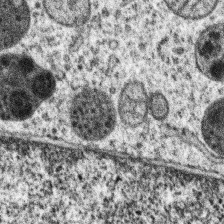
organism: Human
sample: HeLa cells